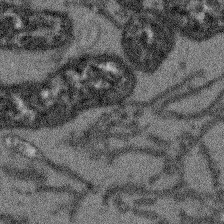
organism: Arabidopsis thaliana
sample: Root tip